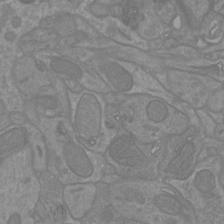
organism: Mouse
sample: Cortical neurons